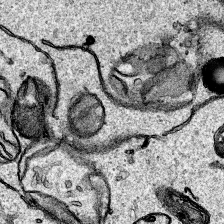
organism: Human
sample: Mitochondria in HCT116 cells